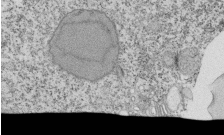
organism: Tetrahymena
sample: Cilia in tetrahymena